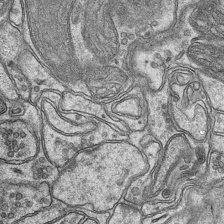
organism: Mouse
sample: CA1 Hippocampus